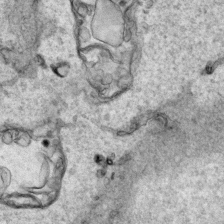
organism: Human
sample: Mitochondria in HCT116 cells